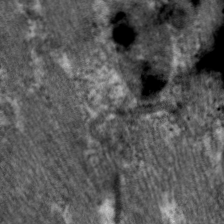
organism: C. elegans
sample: Pharynx